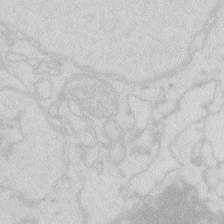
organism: Zebrafish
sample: Macrophage